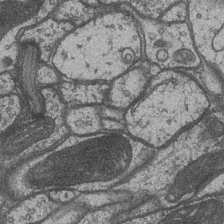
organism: Drosophila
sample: Optic medulla